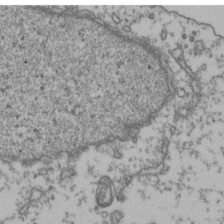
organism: Human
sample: Activated Jurkat CD4+ T cells